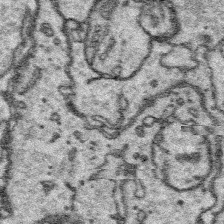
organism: Platynereis dumerilii